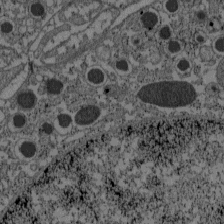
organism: C57BL Mouse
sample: Pancreatic islet